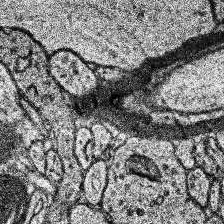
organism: Human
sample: Temporal Lobe